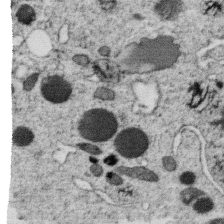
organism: C. elegans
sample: C. elegans oocyte; sperm cells